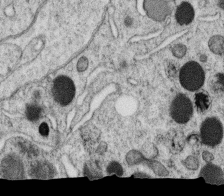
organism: C. elegans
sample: C. elegans oocyte; sperm cells